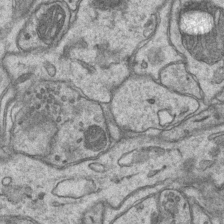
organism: Mouse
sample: CA1 Hippocampus